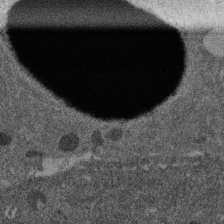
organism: Mouse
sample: Dividing mouse embryo 1 cell stage